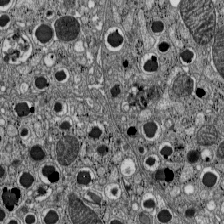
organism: C57BL Mouse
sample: Pancreatic islet